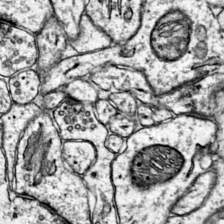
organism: Mouse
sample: Primary visual cortex